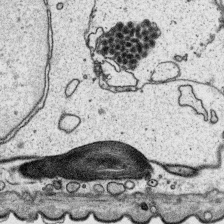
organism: Platynereis dumerilii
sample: Parapodia